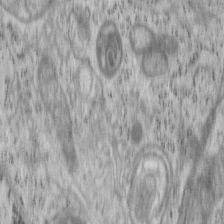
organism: Human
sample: HeLa cells